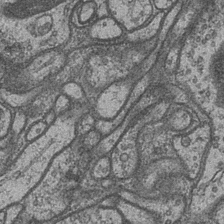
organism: Drosophila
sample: Optic medulla